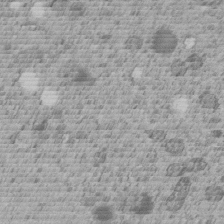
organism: C. elegans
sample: C. elegans embryo early stage